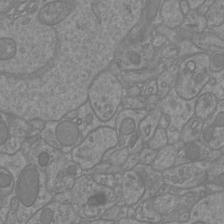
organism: Mouse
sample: Cortical neurons